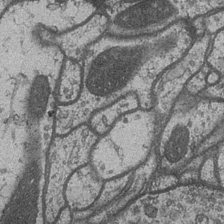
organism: Drosophila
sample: Optic medulla